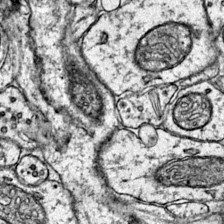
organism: Mouse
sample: Primary visual cortex